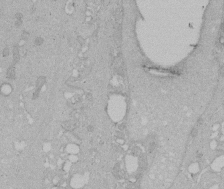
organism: Human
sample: Melanocyte Keratinocyte synapse skin construct